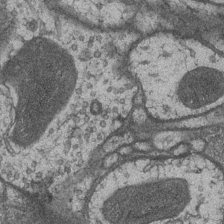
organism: Drosophila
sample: Optic medulla